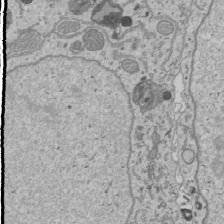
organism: Human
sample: Mitochondria in U2OS cells